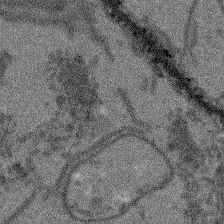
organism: Arabidopsis thaliana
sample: Root tip